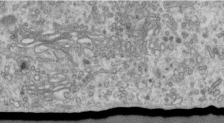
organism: Human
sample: Centriole in RPE cells